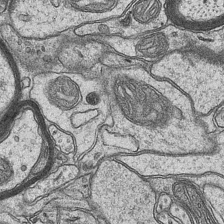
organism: Mouse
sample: CA1 Hippocampus